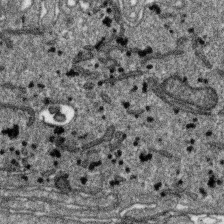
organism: Human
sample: Lung epithelial cells infected with SARS-CoV-2